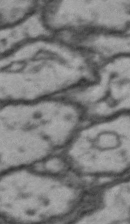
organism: Drosophila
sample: Brain